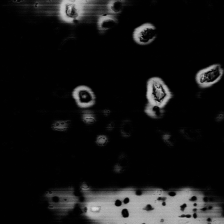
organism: Human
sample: Mitochondria in HCT116 cells